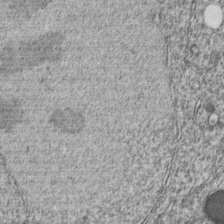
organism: C. elegans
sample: C. elegans embryo early stage